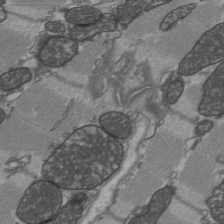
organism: C57BL Mouse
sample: Heart